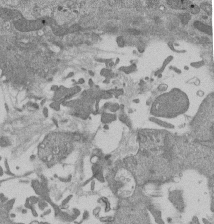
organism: Mouse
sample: ED-1 cell nuclei; centrioles